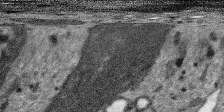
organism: Human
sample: Lung epithelial cells infected with SARS-CoV-2